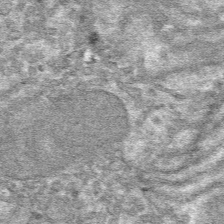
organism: Mouse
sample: Mouse hepatocytes